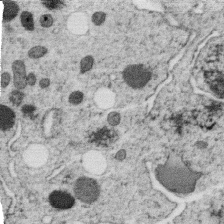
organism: C. elegans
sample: C. elegans oocyte; sperm cells